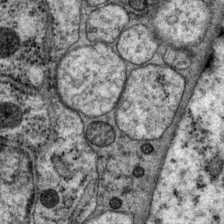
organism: P. pacificus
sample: Pharynx